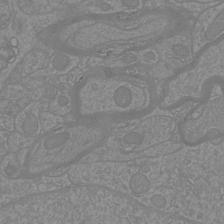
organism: Mouse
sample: Cortical neurons